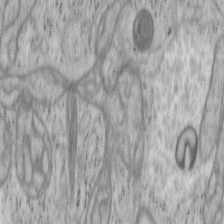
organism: Human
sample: HeLa cells